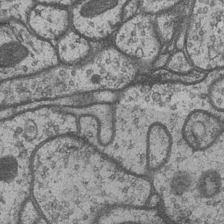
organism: Drosophila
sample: Optic medulla